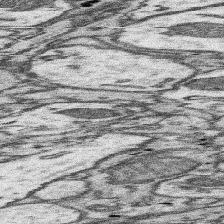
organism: Mouse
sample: Somatosensory cortex neuropil